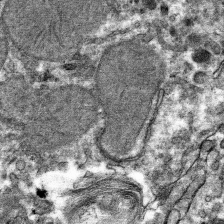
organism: Mouse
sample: Mouse hepatocytes